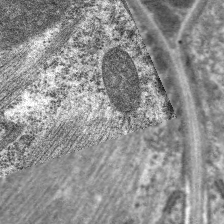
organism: C. elegans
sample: Pharynx